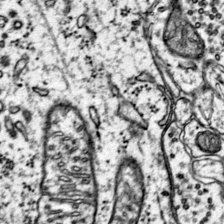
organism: Mouse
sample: Primary visual cortex